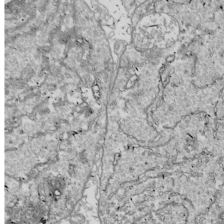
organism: Drosophila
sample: Cell division; meiosis; drosophila spermatocytes